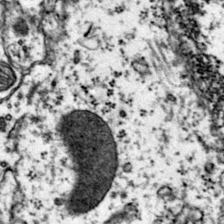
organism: Mouse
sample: Primary visual cortex